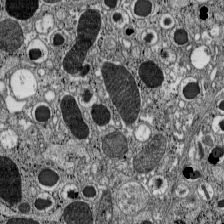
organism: C57BL Mouse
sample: Pancreatic islet